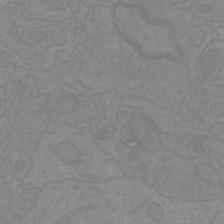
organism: Mouse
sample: Cortical neurons